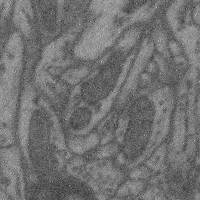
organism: Mouse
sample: Cerebral cortex